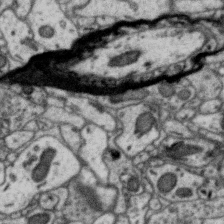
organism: Zebra finch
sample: Brain